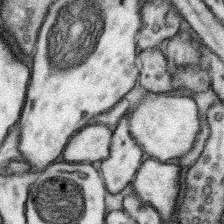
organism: Mouse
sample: Somatosensory cortex neuropil